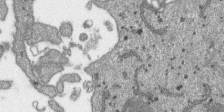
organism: Human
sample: Lung epithelial cells infected with SARS-CoV-2